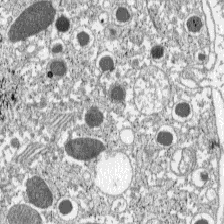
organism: C57BL Mouse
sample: Pancreatic islet